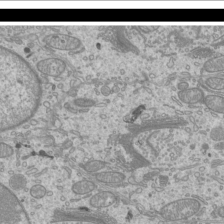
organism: Mouse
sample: Cilia; mouse epididymis